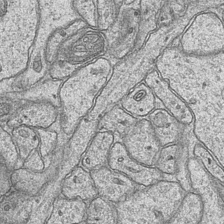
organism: Mouse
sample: CA1 Hippocampus